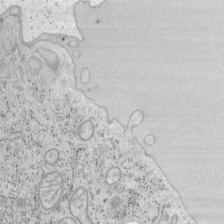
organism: Mouse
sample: OT-I killer T cells with ID8 ovarian cancer cells